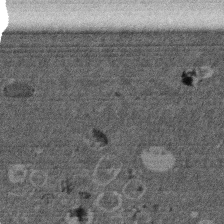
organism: Mouse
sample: Dividing mouse embryo 1 cell stage